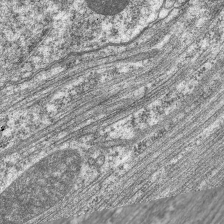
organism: C. elegans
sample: Pharynx